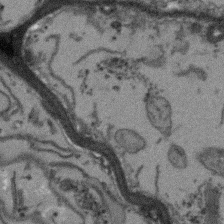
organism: Arabidopsis thaliana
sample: Root tip